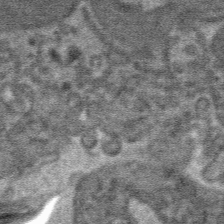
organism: Mouse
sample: Mouse hepatocytes